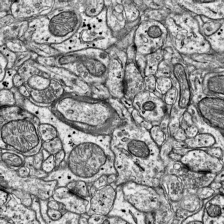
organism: Mouse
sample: Visual Cortex